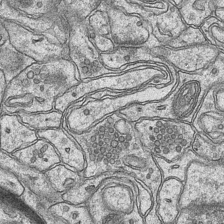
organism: Mouse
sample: CA1 Hippocampus